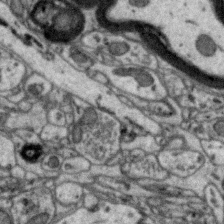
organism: Zebra finch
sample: Brain